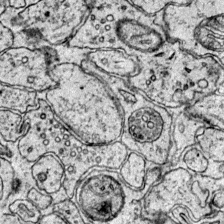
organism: Mouse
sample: Primary visual cortex